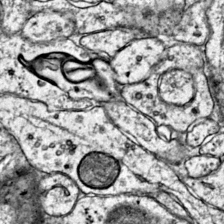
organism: Mouse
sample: Primary visual cortex